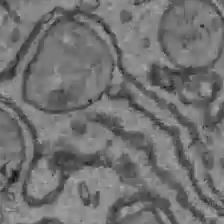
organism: C57BL Mouse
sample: Liver